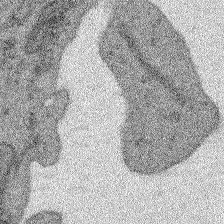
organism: Human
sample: HeLa cells